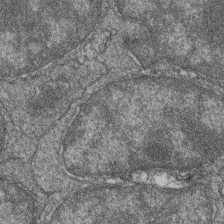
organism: Zebrafish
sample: Cilia; retinal pigment epithelium